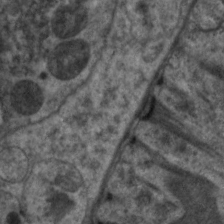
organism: C. elegans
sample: Pharynx